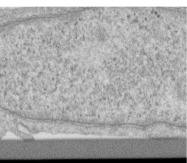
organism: Human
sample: Centriole in RPE cells